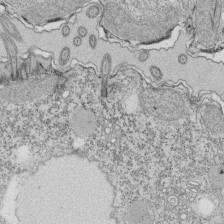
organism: Tetrahymena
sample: Cilia in tetrahymena